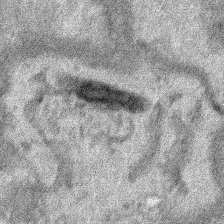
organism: Human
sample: Mitochondria in HCT116 cells